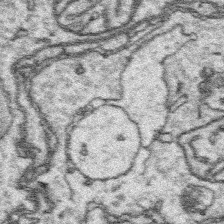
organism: Platynereis dumerilii